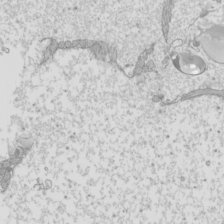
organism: Mouse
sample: Cilia; mouse epididymis